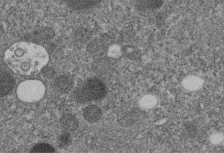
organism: C. elegans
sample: C. elegans embryo early stage